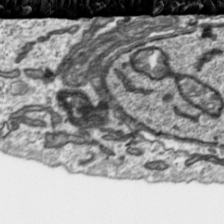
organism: Toxoplasma gondii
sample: Parasites in a vacuole inside a host cell